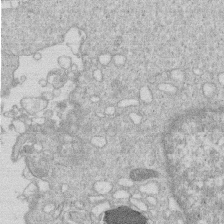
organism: Human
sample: Macrophage cells